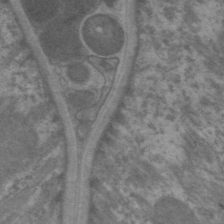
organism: C. elegans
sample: Pharynx